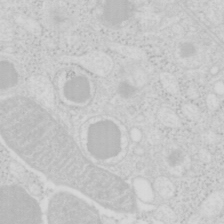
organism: Mouse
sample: Pancreas